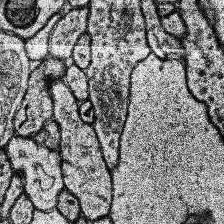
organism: Human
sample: Temporal Lobe